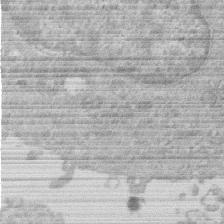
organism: Human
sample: Macrophage cells